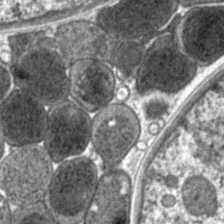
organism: C. elegans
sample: Pharynx